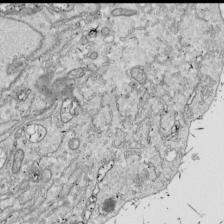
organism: Drosophila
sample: Cell division; meiosis; drosophila spermatocytes